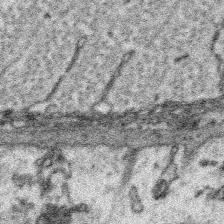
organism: Platynereis dumerilii